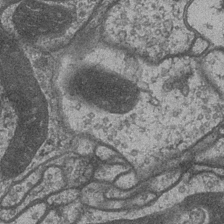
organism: Drosophila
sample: Optic medulla